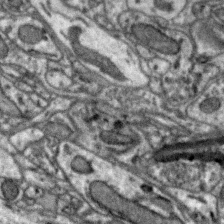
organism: Zebra finch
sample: Brain